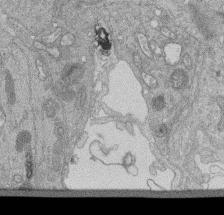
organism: Human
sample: Retinal organoid Rod and Cone cells